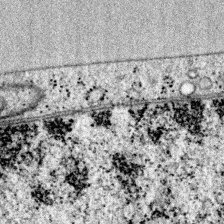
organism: Human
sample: HeLa cells